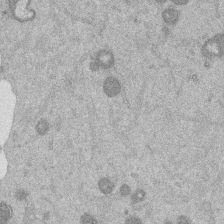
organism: Mouse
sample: Dividing mouse embryo 1 cell stage